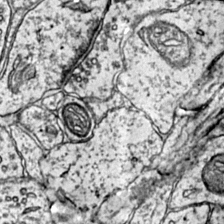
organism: Mouse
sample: Primary visual cortex